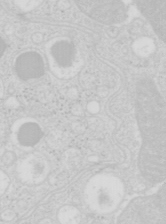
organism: Mouse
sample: Pancreas